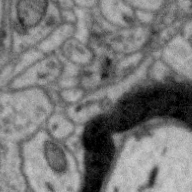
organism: Zebra finch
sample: Brain